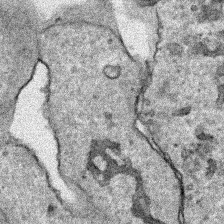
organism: Human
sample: Mitochondria in HCT116 cells